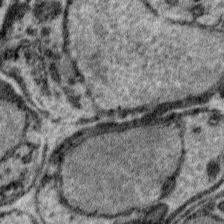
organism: Plasmodium falciparum